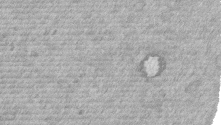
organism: Mouse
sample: Dividing mouse embryo 1 cell stage